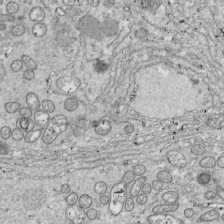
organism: Drosophila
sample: Cell division; meiosis; drosophila spermatocytes